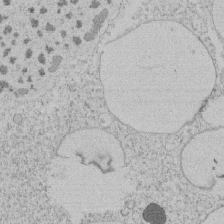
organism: Tetrahymena